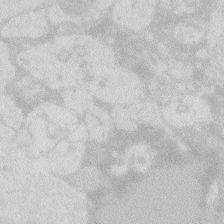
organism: Zebrafish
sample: Macrophage